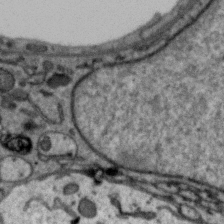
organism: Zebra finch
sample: Brain